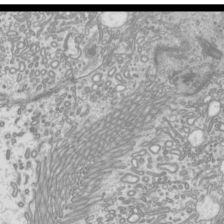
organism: Mouse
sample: Cilia; mouse epididymis